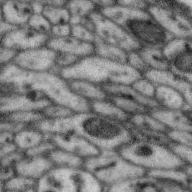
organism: Zebra finch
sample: Brain